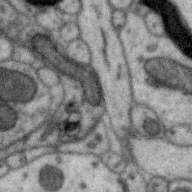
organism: Zebra finch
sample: Brain